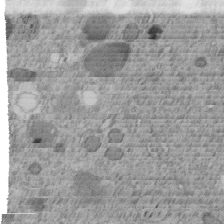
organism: C. elegans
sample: C. elegans embryo early stage